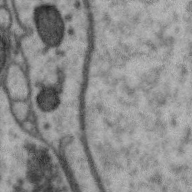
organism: Zebra finch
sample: Brain